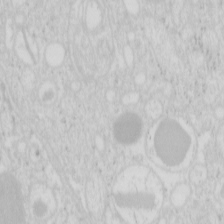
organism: Mouse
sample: Pancreas